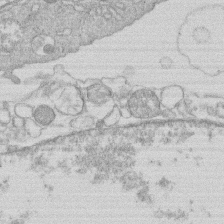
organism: Human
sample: Macrophage cells